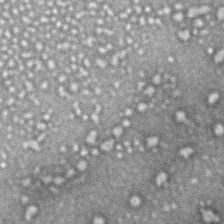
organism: Zebrafish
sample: Zebrafish embryo